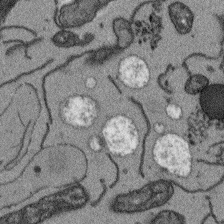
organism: Arabidopsis thaliana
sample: Root tip